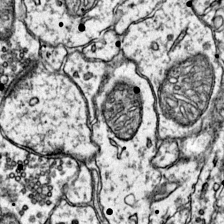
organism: Mouse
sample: Primary visual cortex